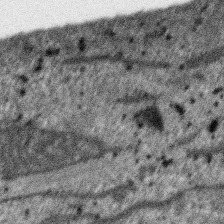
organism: Human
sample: Lung epithelial cells infected with SARS-CoV-2